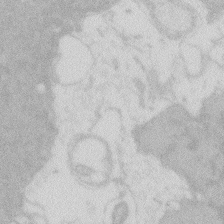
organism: Zebrafish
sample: Macrophage